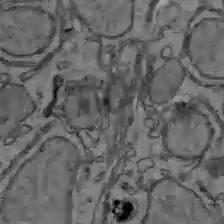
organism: C57BL Mouse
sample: Liver